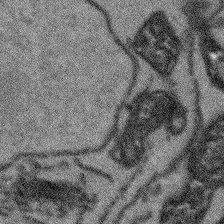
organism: Arabidopsis thaliana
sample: Root tip